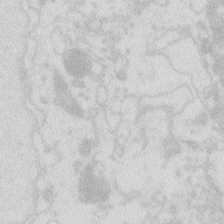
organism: Zebrafish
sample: Macrophage